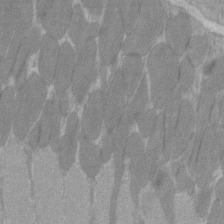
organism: C57BL Mouse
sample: Tibialis anterior muscle cell